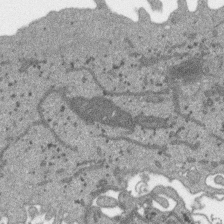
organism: Human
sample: Lung epithelial cells infected with SARS-CoV-2